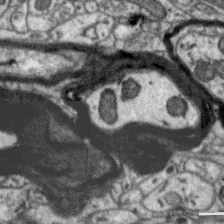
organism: Zebra finch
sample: Brain